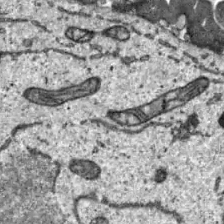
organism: Human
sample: HeLa cells